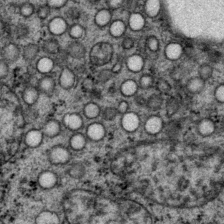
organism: P. pacificus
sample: Pharynx